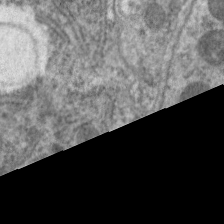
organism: C. elegans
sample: Pharynx